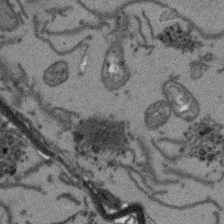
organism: Arabidopsis thaliana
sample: Root tip